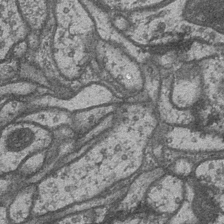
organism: Drosophila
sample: Optic medulla